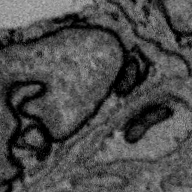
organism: Zebra finch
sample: Brain